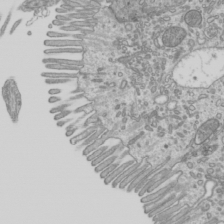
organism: Mouse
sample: Cilia; mouse epididymis